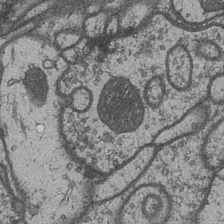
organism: Drosophila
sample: Optic medulla